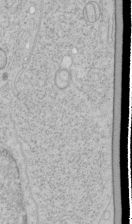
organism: Human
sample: Mitochondria in HCT116 cells